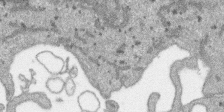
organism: Human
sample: Lung epithelial cells infected with SARS-CoV-2